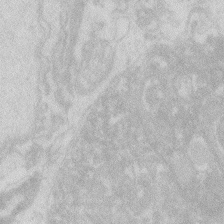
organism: Zebrafish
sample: Macrophage